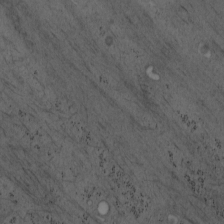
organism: Mouse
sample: OT-I killer T cells with ID8 ovarian cancer cells